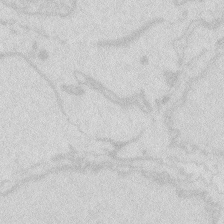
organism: Zebrafish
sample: Macrophage